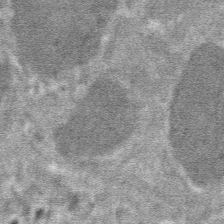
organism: Mouse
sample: Mouse hepatocytes